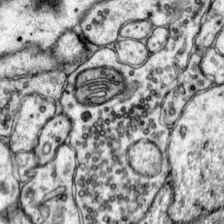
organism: Mouse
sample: Primary visual cortex